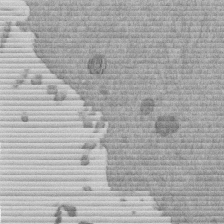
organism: Mouse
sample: Dividing mouse embryo 1 cell stage